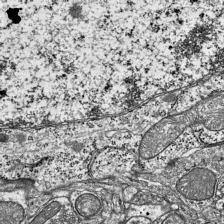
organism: Mouse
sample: Visual Cortex